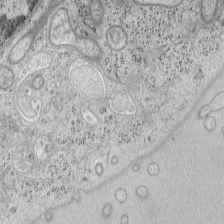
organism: Mouse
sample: OT-I killer T cells with ID8 ovarian cancer cells